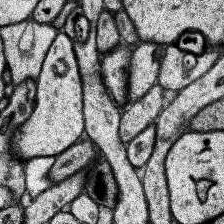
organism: Human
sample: Temporal Lobe